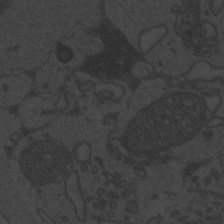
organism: Zebrafish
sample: Macrophage infected with Toxoplasma gondii